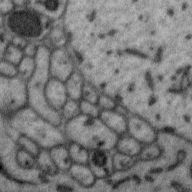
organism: Zebra finch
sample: Brain